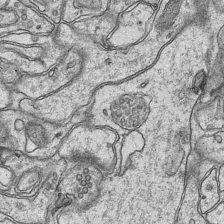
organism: Mouse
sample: CA1 Hippocampus